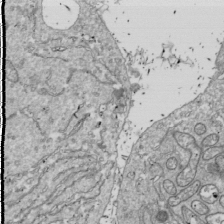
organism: Drosophila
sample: Cell division; meiosis; drosophila spermatocytes